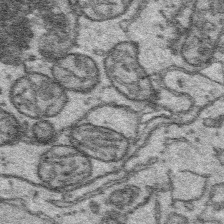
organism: Platynereis dumerilii